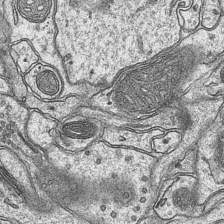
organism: Mouse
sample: CA1 Hippocampus